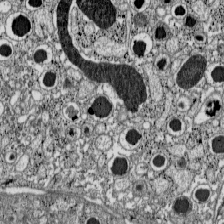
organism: C57BL Mouse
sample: Pancreatic islet